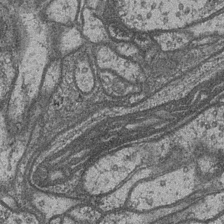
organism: Drosophila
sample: Optic medulla